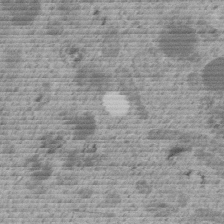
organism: C. elegans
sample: C. elegans embryo early stage